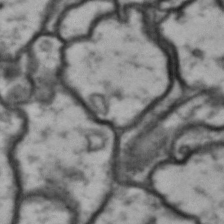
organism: Drosophila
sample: Brain